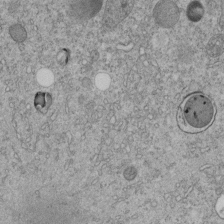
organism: C. elegans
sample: C. elegans embryo early stage